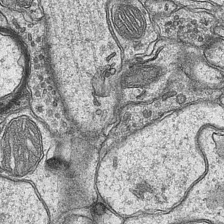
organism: Mouse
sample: CA1 Hippocampus